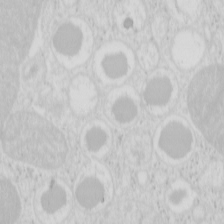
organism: Mouse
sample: Pancreas